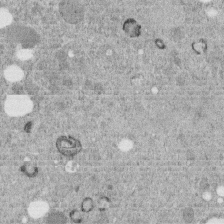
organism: C. elegans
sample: C. elegans embryo early stage